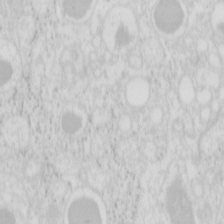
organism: Mouse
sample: Pancreas